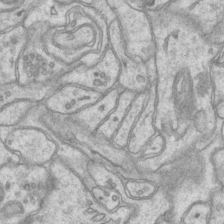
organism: Mouse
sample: CA1 Hippocampus